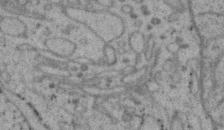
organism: Human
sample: HeLa cells